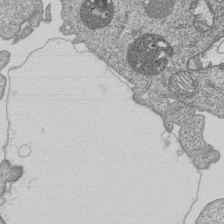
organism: Human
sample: MDA-MB-231 cells